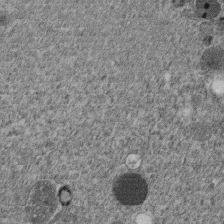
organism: C. elegans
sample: C. elegans embryo early stage